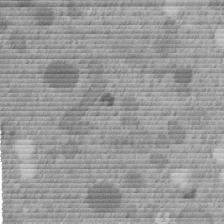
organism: C. elegans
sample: C. elegans embryo early stage